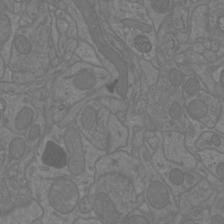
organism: Mouse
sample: Cortical neurons